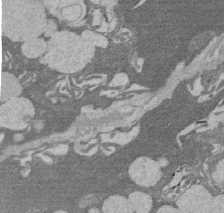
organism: Rat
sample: Salivary granule